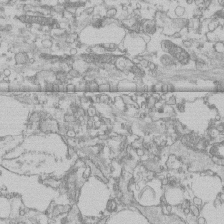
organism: Human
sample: CRL-1474